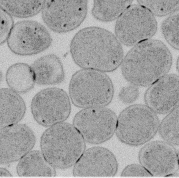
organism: E. coli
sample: Bacterial nucleoid